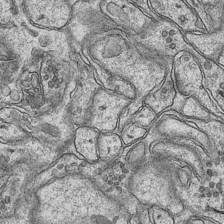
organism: Mouse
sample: CA1 Hippocampus